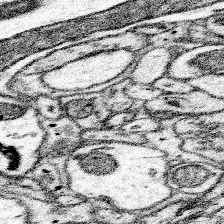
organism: Mouse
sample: Somatosensory cortex neuropil